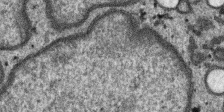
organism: Human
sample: Lung epithelial cells infected with SARS-CoV-2